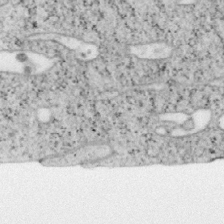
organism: Mouse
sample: OT-I killer T cells with ID8 ovarian cancer cells